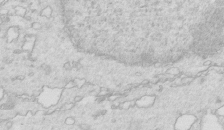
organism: Mouse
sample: Multiciliated cells